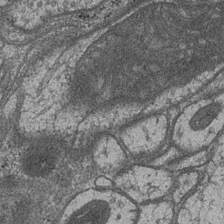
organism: Drosophila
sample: Optic medulla